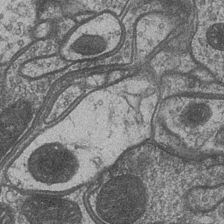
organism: Drosophila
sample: Optic medulla